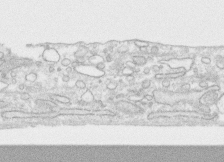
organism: Human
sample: CRL-1474